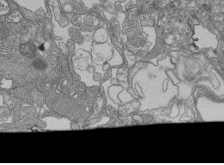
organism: Human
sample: Retinal organoid Rod and Cone cells